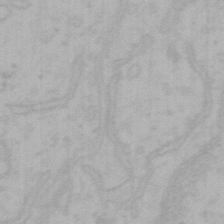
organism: Mouse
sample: Choroid plexus